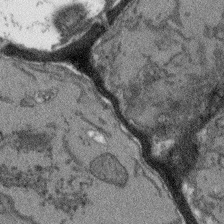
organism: Arabidopsis thaliana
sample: Root tip